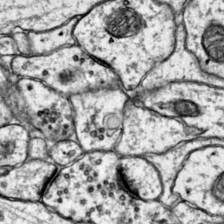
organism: Mouse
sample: Primary visual cortex